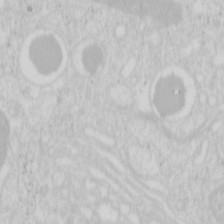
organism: Mouse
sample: Pancreas